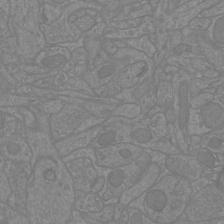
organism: Mouse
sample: Cortical neurons